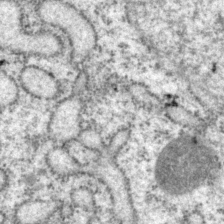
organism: P. pacificus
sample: Pharynx